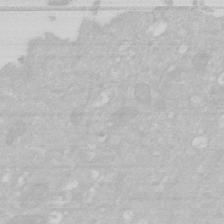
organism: Human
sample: HIV infected U937 cells